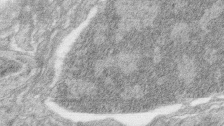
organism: Zebrafish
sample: synaptic ribbons in rod cells and cone cells